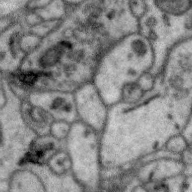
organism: Zebra finch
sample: Brain